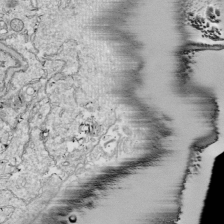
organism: Drosophila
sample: Cell division; meiosis; drosophila spermatocytes